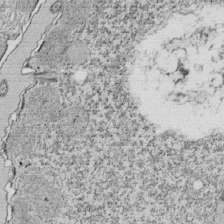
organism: Tetrahymena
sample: Cilia in tetrahymena